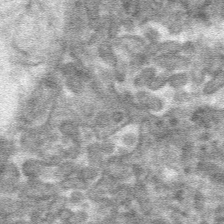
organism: Mouse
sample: Mouse hepatocytes